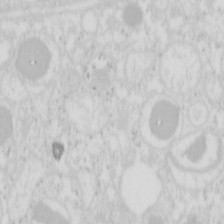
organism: Mouse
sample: Pancreas